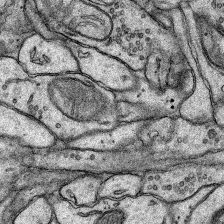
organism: Rat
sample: Hippocampus